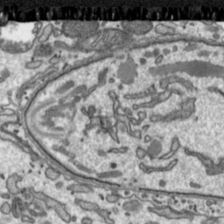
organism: Toxoplasma gondii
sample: Parasites in a vacuole inside a host cell